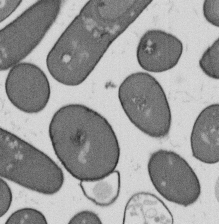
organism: B. subtilis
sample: Bacterial spore